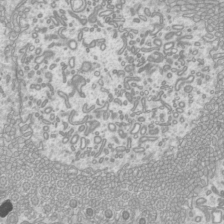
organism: Mouse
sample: Cilia; mouse epididymis